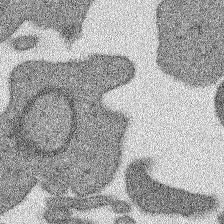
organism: Human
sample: HeLa cells